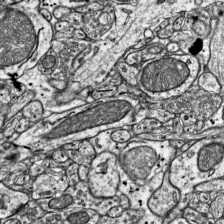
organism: Mouse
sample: Visual Cortex